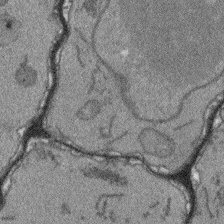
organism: Arabidopsis thaliana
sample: Root tip